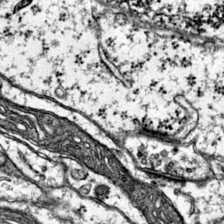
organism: Mouse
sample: Primary visual cortex